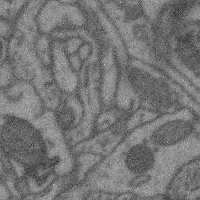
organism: Mouse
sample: Cerebral cortex